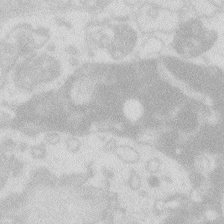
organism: Zebrafish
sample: Macrophage